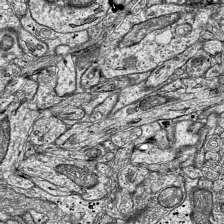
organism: Mouse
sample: Visual Cortex